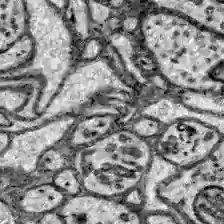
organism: Zebrafish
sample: Brain